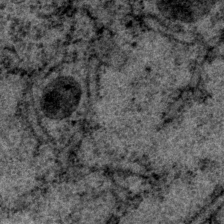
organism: P. pacificus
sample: Pharynx